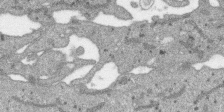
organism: Human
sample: Lung epithelial cells infected with SARS-CoV-2